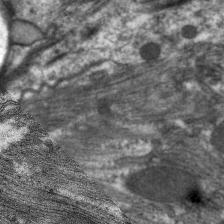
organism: C. elegans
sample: Pharynx